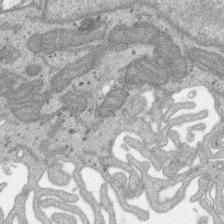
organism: Human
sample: Lung epithelial cells infected with SARS-CoV-2